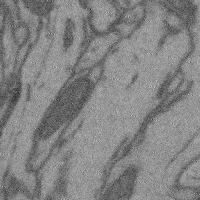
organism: Mouse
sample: Cerebral cortex